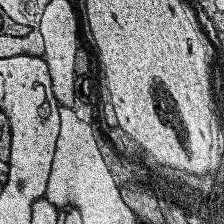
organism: Human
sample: Temporal Lobe